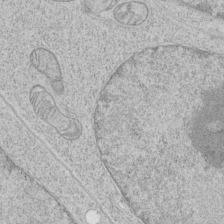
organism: Human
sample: Mitochondria in HCT116 cells